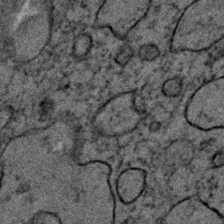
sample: Trachea